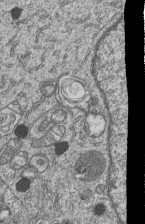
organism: Human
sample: MDA-MB-231 cells